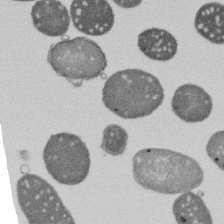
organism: E. coli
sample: Bacterial nucleoid